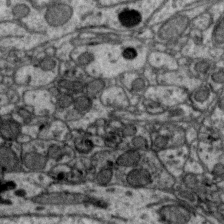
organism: Zebra finch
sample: Brain